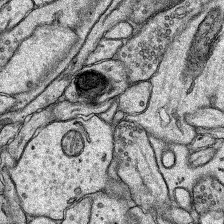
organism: Rat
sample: Hippocampus